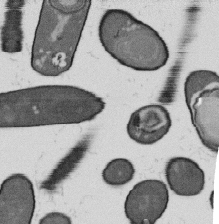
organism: B. subtilis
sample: Bacterial spore